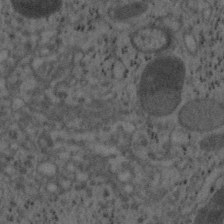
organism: Human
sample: HeLa cells